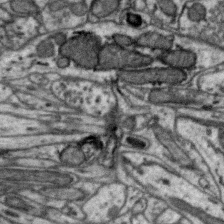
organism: Zebra finch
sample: Brain